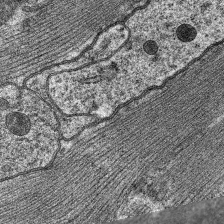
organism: C. elegans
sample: Pharynx